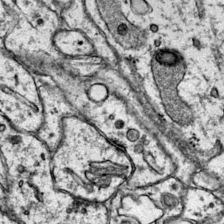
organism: Mouse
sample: Primary visual cortex